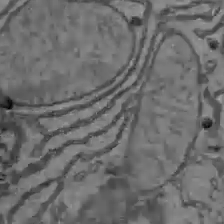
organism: C57BL Mouse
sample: Liver